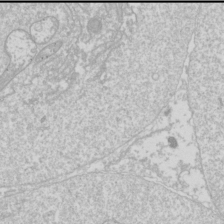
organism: Drosophila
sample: Cell division; meiosis; drosophila spermatocytes